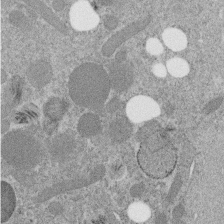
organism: C. elegans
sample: C. elegans embryo early stage